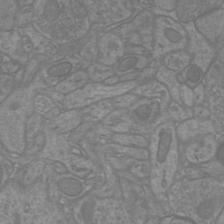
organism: Mouse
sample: Cortical neurons